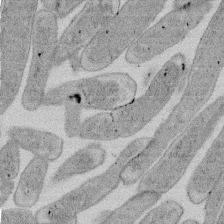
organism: E. coli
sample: Bacterial nucleoid